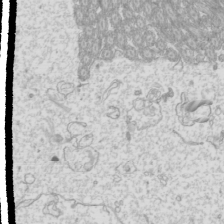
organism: Mouse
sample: Cilia; mouse epididymis